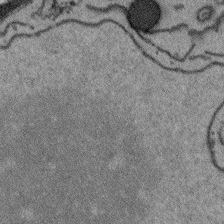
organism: Arabidopsis thaliana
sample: Root tip